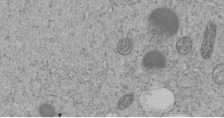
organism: C. elegans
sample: C. elegans embryo early stage